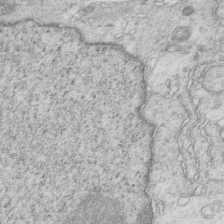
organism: Mouse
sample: Multiciliated cells